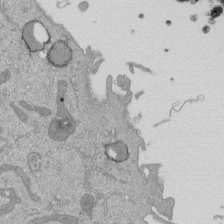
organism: Mouse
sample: ED-1 cell nuclei; centrioles